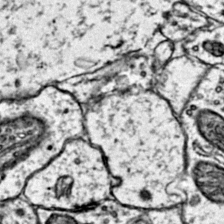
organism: Mouse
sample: Primary visual cortex